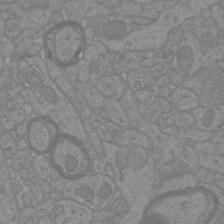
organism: Mouse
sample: Cortical neurons